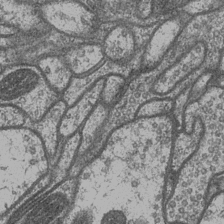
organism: Drosophila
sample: Optic medulla